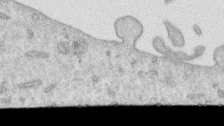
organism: Human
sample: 1205lu cells